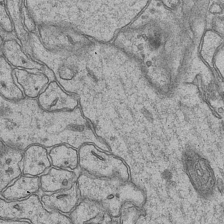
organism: Mouse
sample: CA1 Hippocampus